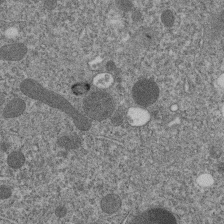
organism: C. elegans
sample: C. elegans embryo early stage